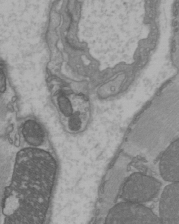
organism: C57BL Mouse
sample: Heart